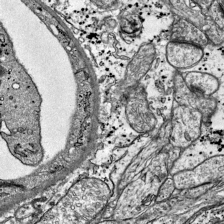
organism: Mouse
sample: Visual Cortex